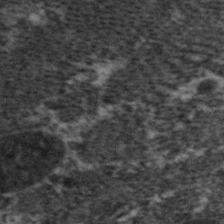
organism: C. elegans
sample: Pharynx